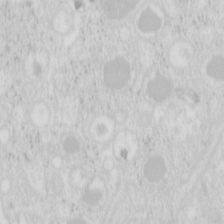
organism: Mouse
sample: Pancreas